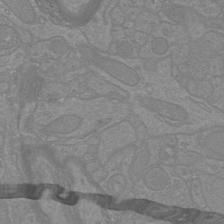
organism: Mouse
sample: Cortical neurons